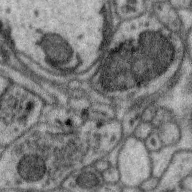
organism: Zebra finch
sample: Brain